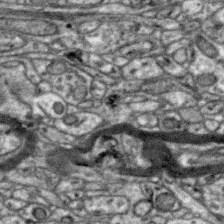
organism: Zebra finch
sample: Brain